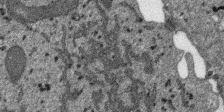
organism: Human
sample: Lung epithelial cells infected with SARS-CoV-2